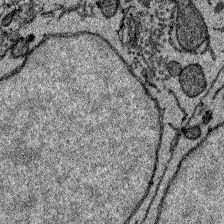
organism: Zebrafish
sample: Larval olfactory bulb